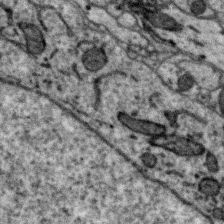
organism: Zebra finch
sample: Brain